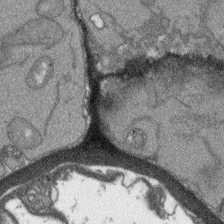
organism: Arabidopsis thaliana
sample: Root tip